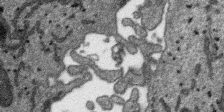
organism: Human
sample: Lung epithelial cells infected with SARS-CoV-2